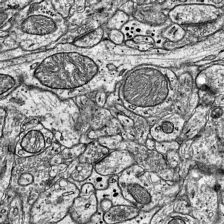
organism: Mouse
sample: Visual Cortex